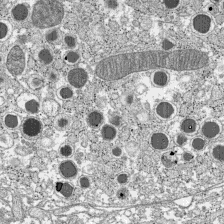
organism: C57BL Mouse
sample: Pancreatic islet